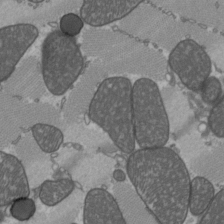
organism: C57BL Mouse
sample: Heart